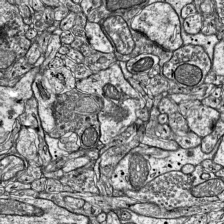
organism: Mouse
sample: Visual Cortex